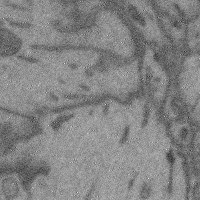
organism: Mouse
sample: Cerebral cortex